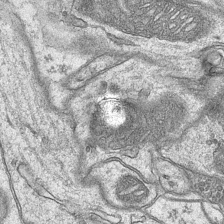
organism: Mouse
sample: CA1 Hippocampus